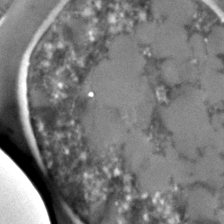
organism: C. elegans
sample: C. elegans embryo